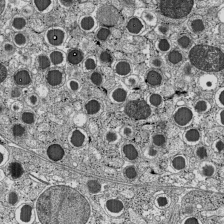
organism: C57BL Mouse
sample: Pancreatic islet